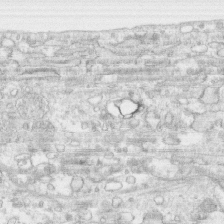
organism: Human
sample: CRL-1474